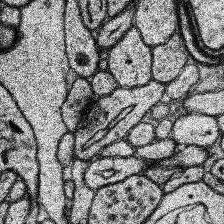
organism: Human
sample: Temporal Lobe